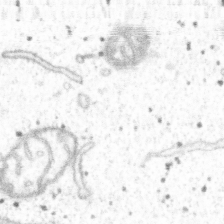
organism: Human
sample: HeLa cells